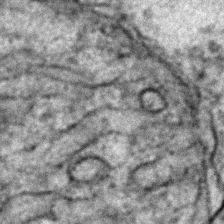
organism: Zebrafish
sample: Zebrafish embryo